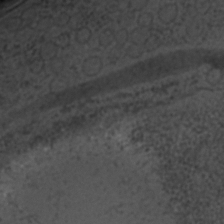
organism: C. elegans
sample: C. elegans embryo